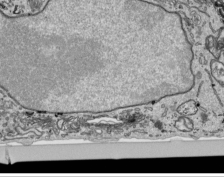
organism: Human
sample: Mitochondria in HCT116 cells